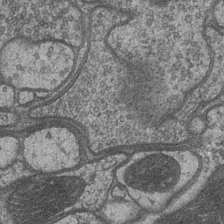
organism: Drosophila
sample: Optic medulla